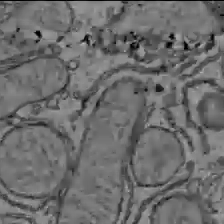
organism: C57BL Mouse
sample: Liver